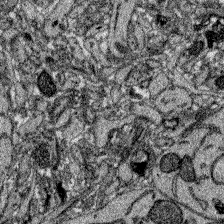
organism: Zebrafish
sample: Larval olfactory bulb